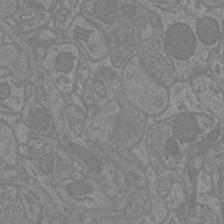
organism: Mouse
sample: Cortical neurons